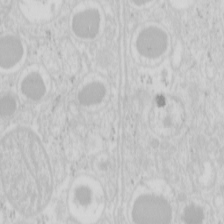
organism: Mouse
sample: Pancreas